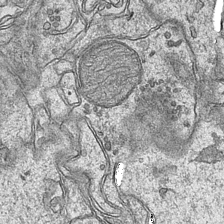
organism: Mouse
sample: CA1 Hippocampus